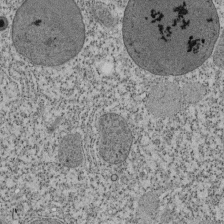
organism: Tetrahymena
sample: Cilia in tetrahymena